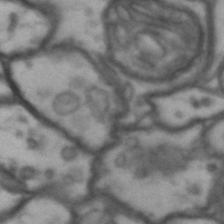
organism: Drosophila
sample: Brain